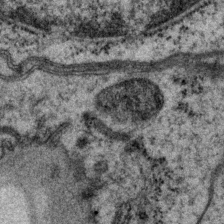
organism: P. pacificus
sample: Pharynx